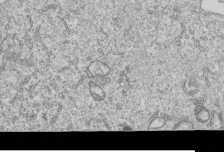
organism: Human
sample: MDA-MB-231 cells